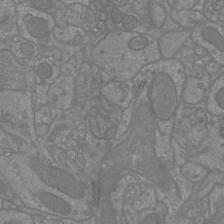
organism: Mouse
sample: Cortical neurons